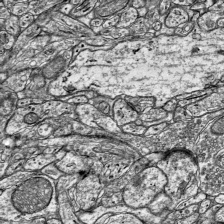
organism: Mouse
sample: Visual Cortex